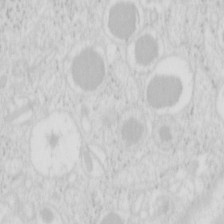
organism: Mouse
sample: Pancreas